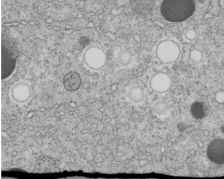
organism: C. elegans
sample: C. elegans embryo early stage